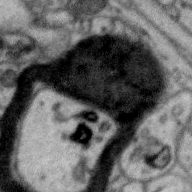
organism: Zebra finch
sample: Brain